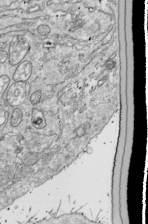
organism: Drosophila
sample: Cell division; meiosis; drosophila spermatocytes